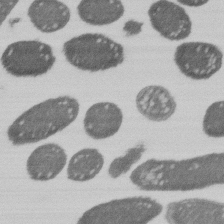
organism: E. coli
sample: Bacterial nucleoid